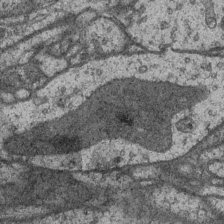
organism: Drosophila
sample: Optic medulla